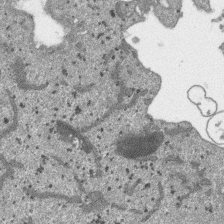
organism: Human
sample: Lung epithelial cells infected with SARS-CoV-2